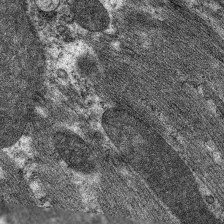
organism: C. elegans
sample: Pharynx